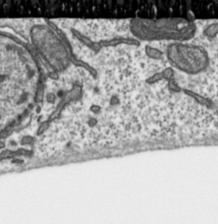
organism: Toxoplasma gondii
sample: Parasites in a vacuole inside a host cell